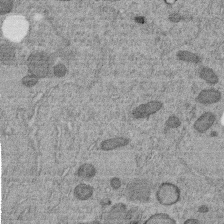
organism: C. elegans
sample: C. elegans embryo early stage